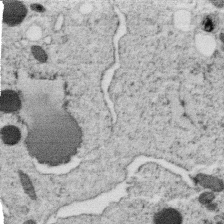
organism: C. elegans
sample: C. elegans oocyte; sperm cells